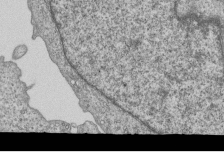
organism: Human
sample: MDA-MB-231 cells